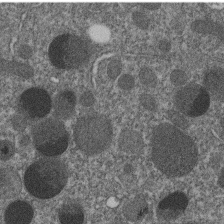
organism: C. elegans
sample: C. elegans embryo early stage